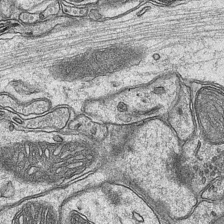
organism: Mouse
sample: CA1 Hippocampus